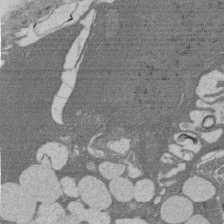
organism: Rat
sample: Salivary granule